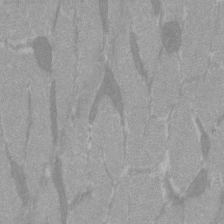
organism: C57BL Mouse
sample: Tibialis anterior muscle cell